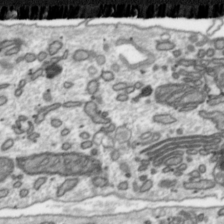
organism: Toxoplasma gondii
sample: Parasites in a vacuole inside a host cell